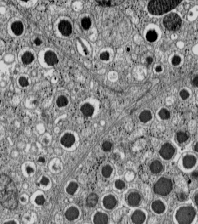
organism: C57BL Mouse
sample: Pancreatic islet